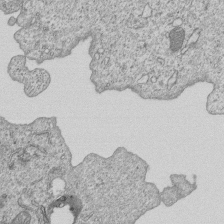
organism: Human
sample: MDA-MB-231 cells